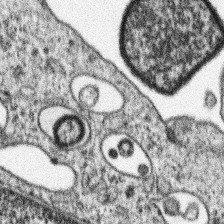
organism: Human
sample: HeLa cells